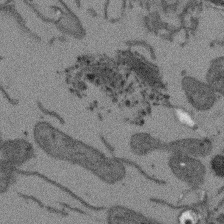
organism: Arabidopsis thaliana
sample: Root tip